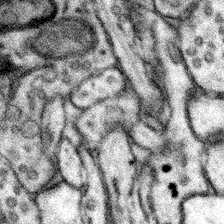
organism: Mouse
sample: Somatosensory cortex neuropil